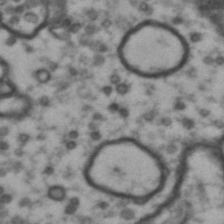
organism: Drosophila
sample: Brain